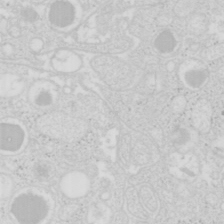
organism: Mouse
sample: Pancreas